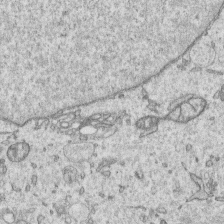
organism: Human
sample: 1205lu cells